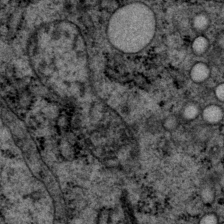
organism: P. pacificus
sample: Pharynx